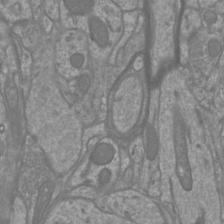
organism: Mouse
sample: Cortical neurons